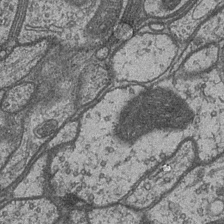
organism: Drosophila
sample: Optic medulla